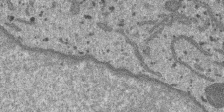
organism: Human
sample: Lung epithelial cells infected with SARS-CoV-2